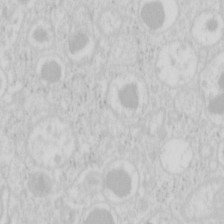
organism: Mouse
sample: Pancreas